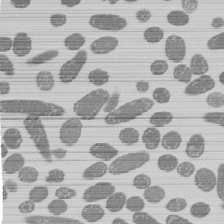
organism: E. coli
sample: Bacterial nucleoid